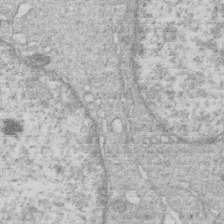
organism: Human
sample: Macrophage cells